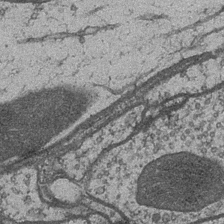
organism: Drosophila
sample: Optic medulla